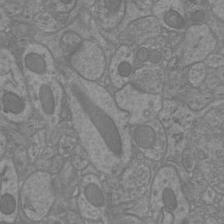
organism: Mouse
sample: Cortical neurons